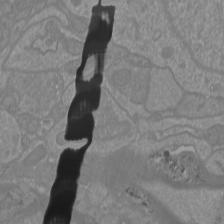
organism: Mouse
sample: Cortical neurons